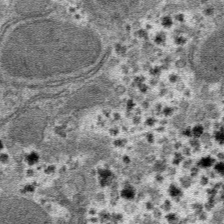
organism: Mouse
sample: Mouse hepatocytes